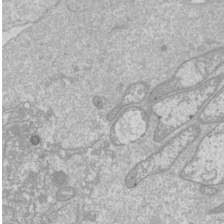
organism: Drosophila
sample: Cell division; meiosis; drosophila spermatocytes